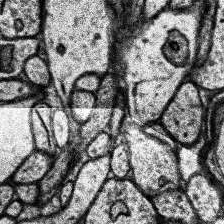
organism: Human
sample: Temporal Lobe